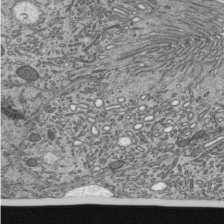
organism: Mouse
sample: Mouse epididymis efferent ductule cilia